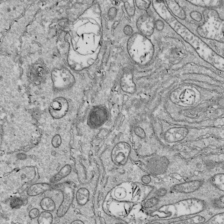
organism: Drosophila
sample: Cell division; meiosis; drosophila spermatocytes